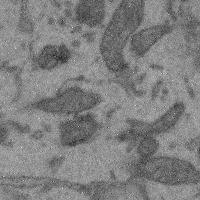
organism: Mouse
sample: Cerebral cortex